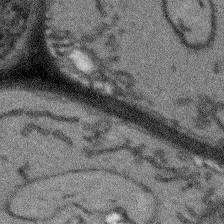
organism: Arabidopsis thaliana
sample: Root tip